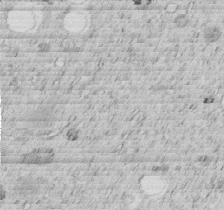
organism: C. elegans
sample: C. elegans embryo early stage